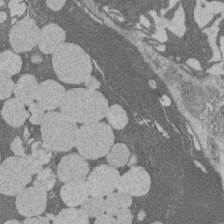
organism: Rat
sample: Salivary granule